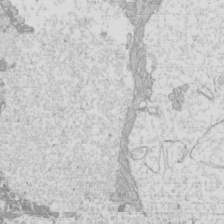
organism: Mouse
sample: Cilia; mouse epididymis